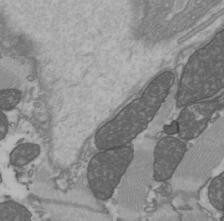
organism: C57BL Mouse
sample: Heart